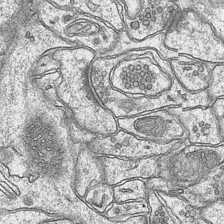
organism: Mouse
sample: CA1 Hippocampus